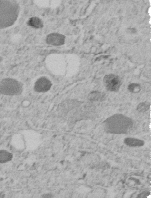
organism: C. elegans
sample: C. elegans embryo early stage